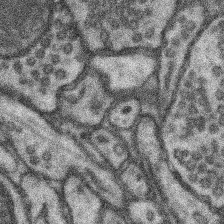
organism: Mouse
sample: Somatosensory cortex neuropil